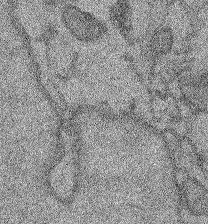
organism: Human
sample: HeLa cells